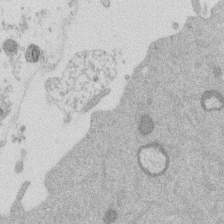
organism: Mouse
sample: Dividing mouse embryo 1 cell stage